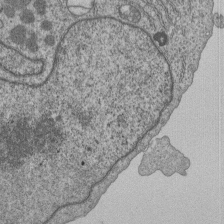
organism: Human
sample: MDA-MB-231 cells